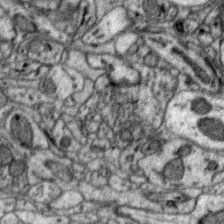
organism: Zebra finch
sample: Brain